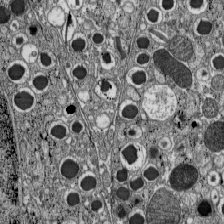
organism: C57BL Mouse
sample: Pancreatic islet